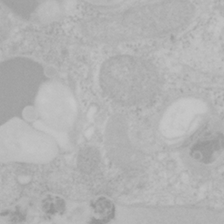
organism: Mouse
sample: OT-I killer T cells with ID8 ovarian cancer cells